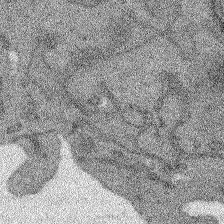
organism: Human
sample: HeLa cells